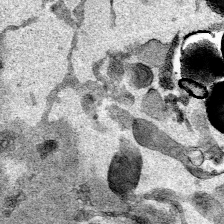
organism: Mouse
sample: Cancer cell death in ED-1 cells